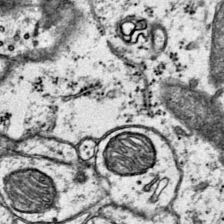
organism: Mouse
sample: Primary visual cortex